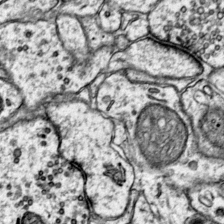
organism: Mouse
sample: Primary visual cortex